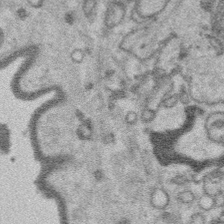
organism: Platynereis dumerilii